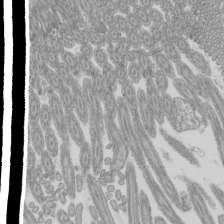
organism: Mouse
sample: Cilia; mouse epididymis